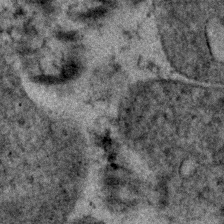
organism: Human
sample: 1205lu cells